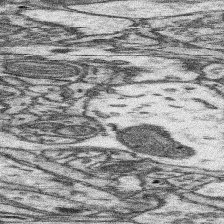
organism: Mouse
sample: Somatosensory cortex neuropil